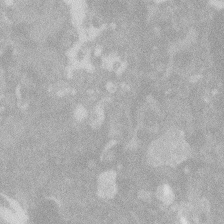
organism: Zebrafish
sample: Macrophage